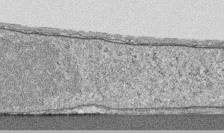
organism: Human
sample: CRL-1474